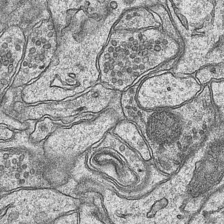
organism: Mouse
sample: CA1 Hippocampus